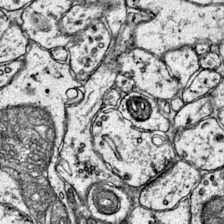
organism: Mouse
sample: Primary visual cortex